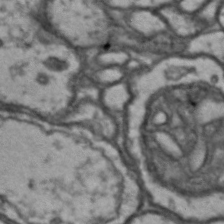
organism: Drosophila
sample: Brain